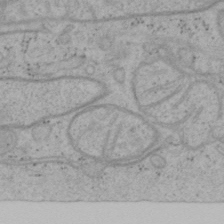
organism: Human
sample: HeLa cells